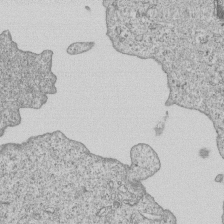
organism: Human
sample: MDA-MB-231 cells